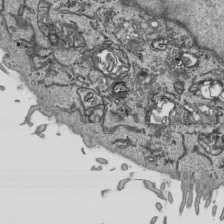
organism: Human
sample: Mitochondria in HCT116 cells